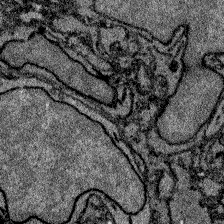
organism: Zebrafish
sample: Larval olfactory bulb